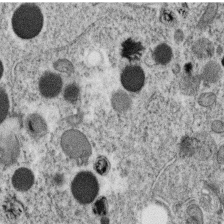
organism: C. elegans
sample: C. elegans oocyte; sperm cells